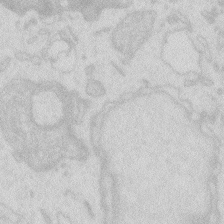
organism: Zebrafish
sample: Macrophage